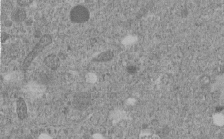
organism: C. elegans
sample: C. elegans embryo early stage